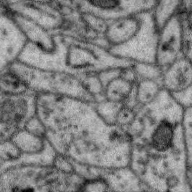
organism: Zebra finch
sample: Brain